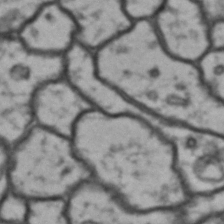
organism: Drosophila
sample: Brain